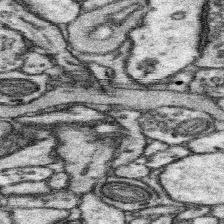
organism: Mouse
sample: Somatosensory cortex neuropil